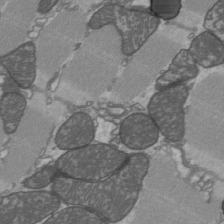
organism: C57BL Mouse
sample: Heart